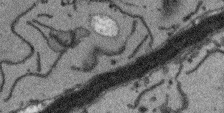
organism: Arabidopsis thaliana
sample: Root tip